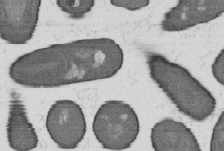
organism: B. subtilis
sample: Bacterial spore